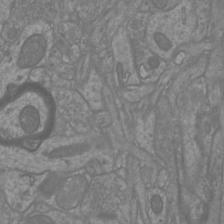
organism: Mouse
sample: Cortical neurons